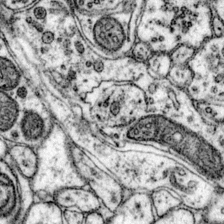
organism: Mouse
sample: Primary visual cortex